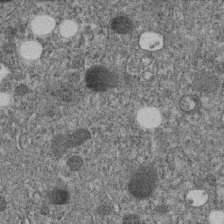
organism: C. elegans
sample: C. elegans embryo early stage